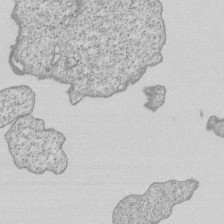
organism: Human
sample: MDA-MB-231 cells